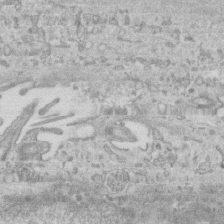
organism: Mouse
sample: Centriole in ependymal cells